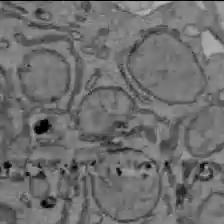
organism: C57BL Mouse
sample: Liver